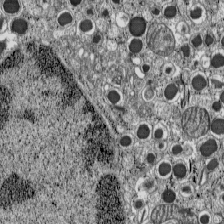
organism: C57BL Mouse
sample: Pancreatic islet